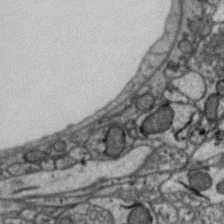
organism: Zebra finch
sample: Brain